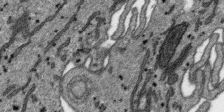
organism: Human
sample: Lung epithelial cells, uninfected (mock) control